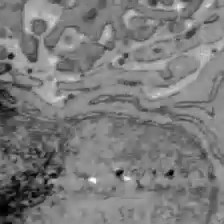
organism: C57BL Mouse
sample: Liver